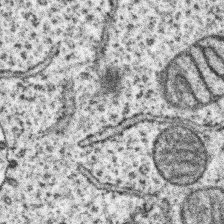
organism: Human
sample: HeLa cells